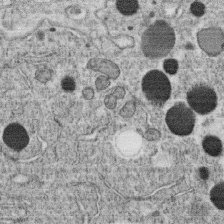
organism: C. elegans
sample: C. elegans oocyte; sperm cells